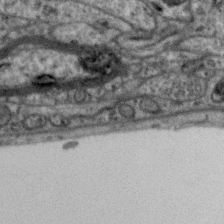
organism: Zebra finch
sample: Brain